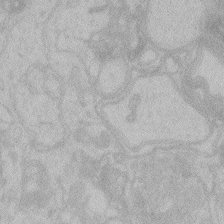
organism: Zebrafish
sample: Macrophage infected with Toxoplasma gondii